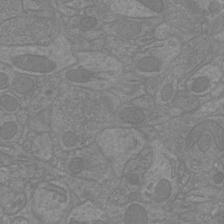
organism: Mouse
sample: Cortical neurons